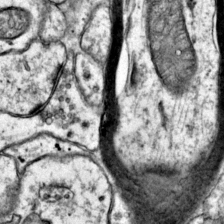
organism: Mouse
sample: Primary visual cortex